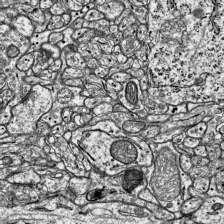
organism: Mouse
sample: Visual Cortex